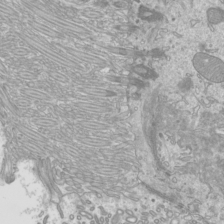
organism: Mouse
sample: Cilia; mouse epididymis